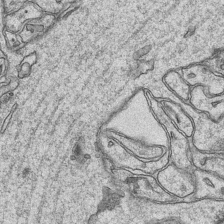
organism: Mouse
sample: CA1 Hippocampus